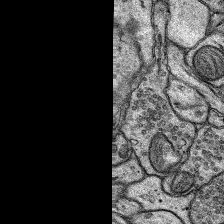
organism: Rat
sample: Hippocampus